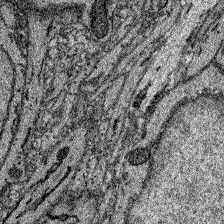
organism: Zebrafish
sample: Larval olfactory bulb